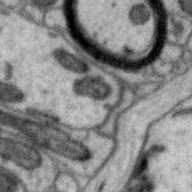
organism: Zebra finch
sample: Brain